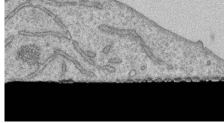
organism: Human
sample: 1205lu cells